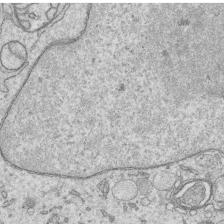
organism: Human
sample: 1205lu cells